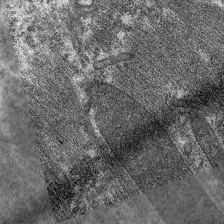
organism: C. elegans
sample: Pharynx